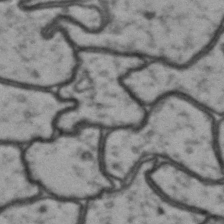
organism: Drosophila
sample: Brain